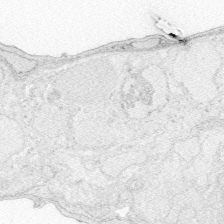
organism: Zebrafish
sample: Whole-Brain